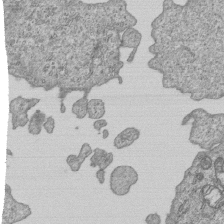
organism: Human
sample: MDA-MB-231 cells